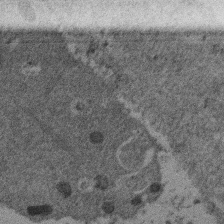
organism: Mouse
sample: Dividing mouse embryo 1 cell stage